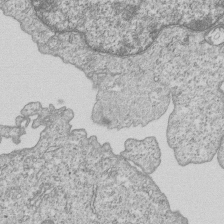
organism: Human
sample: MDA-MB-231 cells